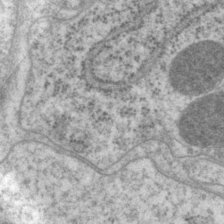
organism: P. pacificus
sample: Pharynx